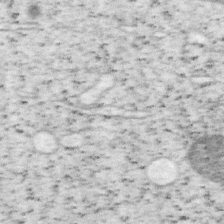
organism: Mouse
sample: OT-I killer T cells with ID8 ovarian cancer cells